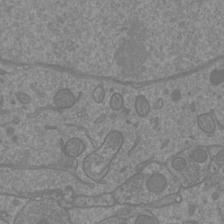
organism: Mouse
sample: Cortical neurons